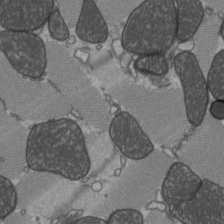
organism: C57BL Mouse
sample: Heart